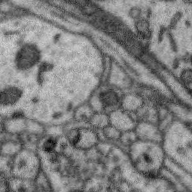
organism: Zebra finch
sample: Brain